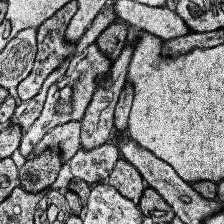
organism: Human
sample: Temporal Lobe